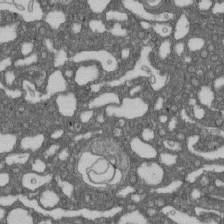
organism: Drosophila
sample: Nephrocyte